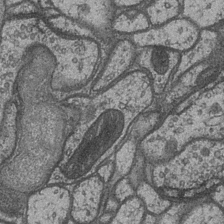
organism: Drosophila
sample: Optic medulla